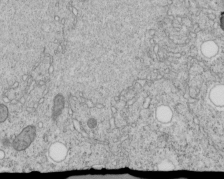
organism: C. elegans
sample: C. elegans embryo early stage